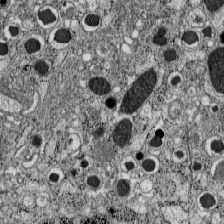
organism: C57BL Mouse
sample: Pancreatic islet